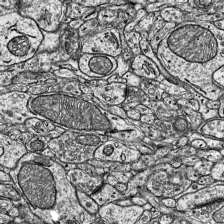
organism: Mouse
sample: Visual Cortex